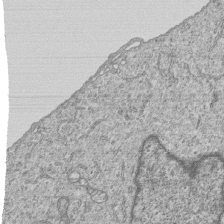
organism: Human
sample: MDA-MB-231 cells